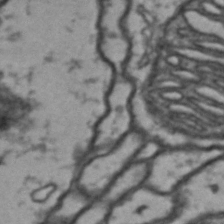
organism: Drosophila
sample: Brain